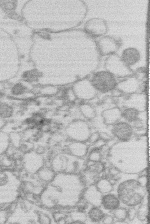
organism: Human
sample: Macrophage cells